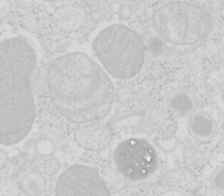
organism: Mouse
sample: Pancreas